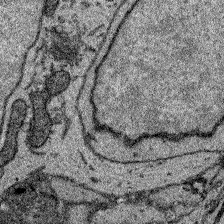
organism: Zebrafish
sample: Larval olfactory bulb